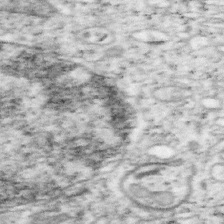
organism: Mouse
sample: OT-I killer T cells with ID8 ovarian cancer cells